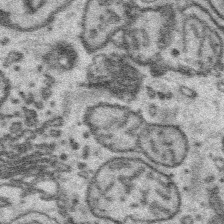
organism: Platynereis dumerilii